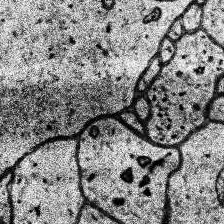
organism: Human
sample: Temporal Lobe